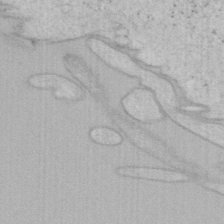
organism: Human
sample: HeLa cells